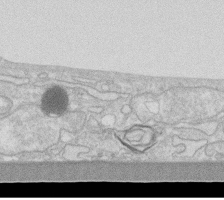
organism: Human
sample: Fibroblast cells